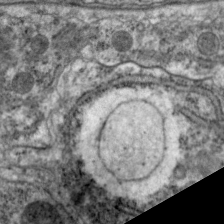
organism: C. elegans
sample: Pharynx